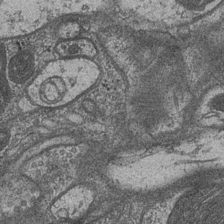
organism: Drosophila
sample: Optic medulla